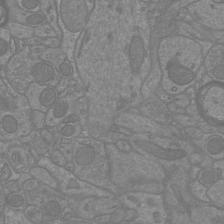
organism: Mouse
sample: Cortical neurons